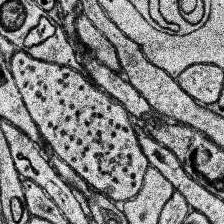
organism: Human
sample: Temporal Lobe